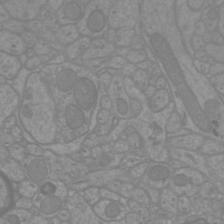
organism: Mouse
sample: Cortical neurons